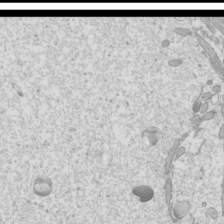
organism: Mouse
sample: Cilia; mouse epididymis